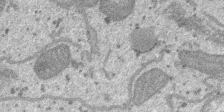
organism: Human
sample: Lung epithelial cells infected with SARS-CoV-2